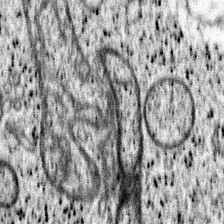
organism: Human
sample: HeLa cells